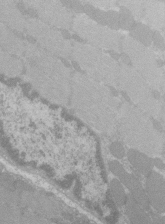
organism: C57BL Mouse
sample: Tibialis anterior muscle cell